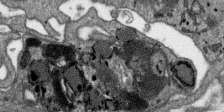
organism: Human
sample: Lung epithelial cells, uninfected (mock) control